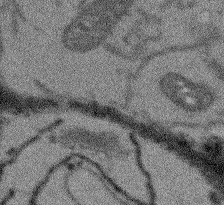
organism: Arabidopsis thaliana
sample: Root tip